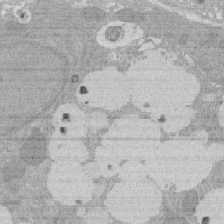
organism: Rat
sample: Salivary granule